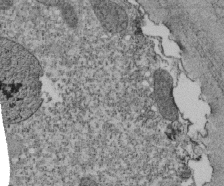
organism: Tetrahymena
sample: Cilia in tetrahymena